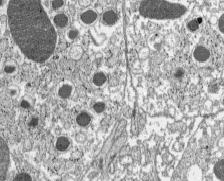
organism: C57BL Mouse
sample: Pancreatic islet